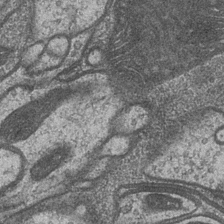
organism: Drosophila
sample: Optic medulla